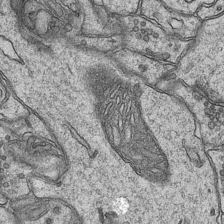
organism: Mouse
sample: CA1 Hippocampus